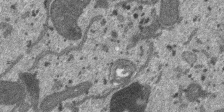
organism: Human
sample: Lung epithelial cells infected with SARS-CoV-2